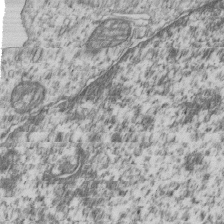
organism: Human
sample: MDA-MB-231 cells